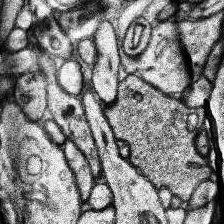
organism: Human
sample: Temporal Lobe